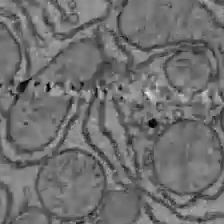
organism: C57BL Mouse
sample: Liver